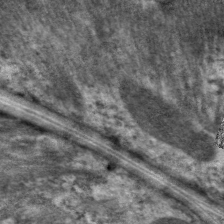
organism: C. elegans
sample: Pharynx